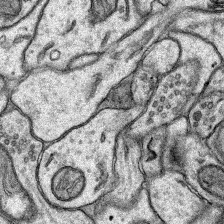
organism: Rat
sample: Hippocampus